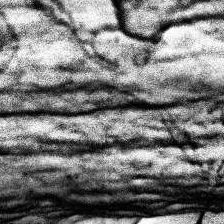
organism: Human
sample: Temporal Lobe